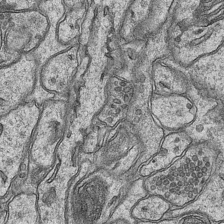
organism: Mouse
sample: CA1 Hippocampus